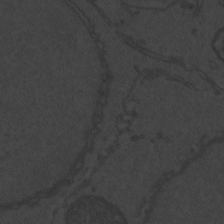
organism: Zebrafish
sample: Macrophage infected with Toxoplasma gondii